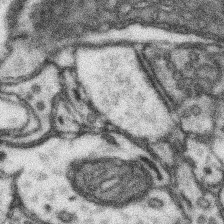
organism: Mouse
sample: Somatosensory cortex neuropil